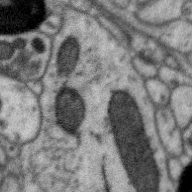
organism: Zebra finch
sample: Brain